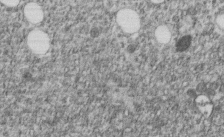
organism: C. elegans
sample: C. elegans embryo early stage